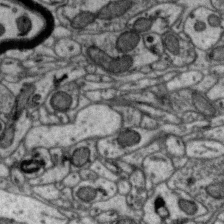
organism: Zebra finch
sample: Brain